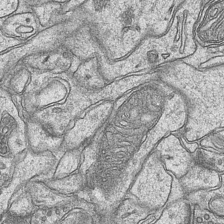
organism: Mouse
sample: CA1 Hippocampus